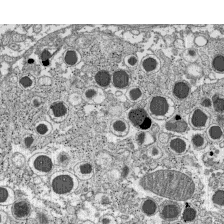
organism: C57BL Mouse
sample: Pancreatic islet